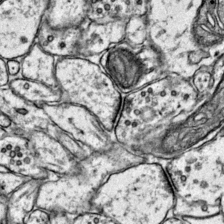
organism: Mouse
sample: Primary visual cortex